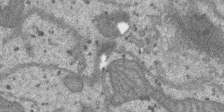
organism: Human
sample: Lung epithelial cells infected with SARS-CoV-2